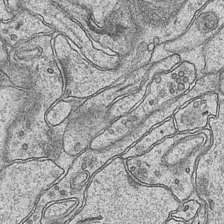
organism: Mouse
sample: CA1 Hippocampus